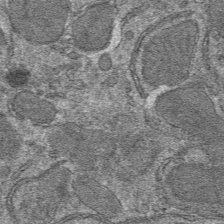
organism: Mouse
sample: Mouse hepatocytes